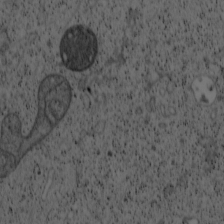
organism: African green monkey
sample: COS-7 cells